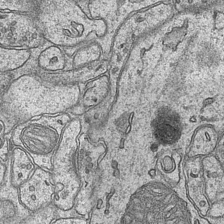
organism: Mouse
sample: CA1 Hippocampus